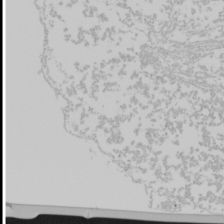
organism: Mouse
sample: Cancer cell death in ED-1 cells